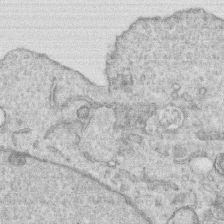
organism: Human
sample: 1205lu cells